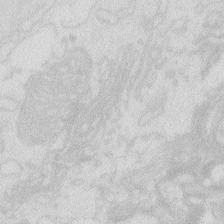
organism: Zebrafish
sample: Macrophage